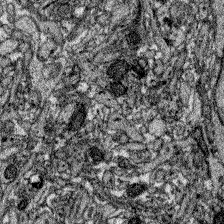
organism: Zebrafish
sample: Larval olfactory bulb